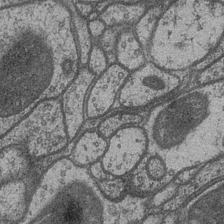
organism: Drosophila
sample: Optic medulla